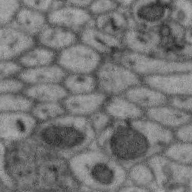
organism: Zebra finch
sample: Brain